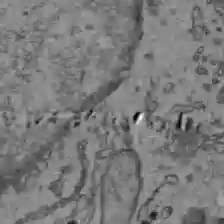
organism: C57BL Mouse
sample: Liver